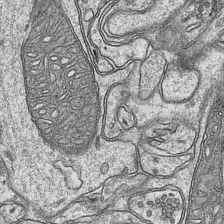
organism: Mouse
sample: CA1 Hippocampus